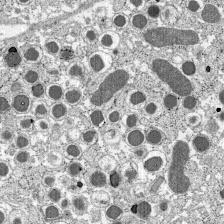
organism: C57BL Mouse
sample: Pancreatic islet